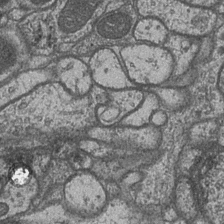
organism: Drosophila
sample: Optic medulla